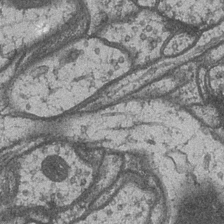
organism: Drosophila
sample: Optic medulla